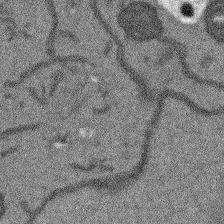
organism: Arabidopsis thaliana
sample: Root tip